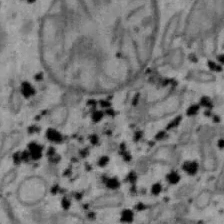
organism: Mouse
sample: Liver